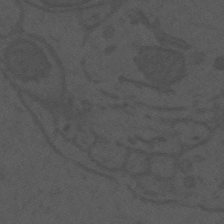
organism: Mouse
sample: Suprachiasmatic nucleus